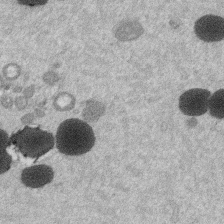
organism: Mouse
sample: Dividing mouse embryo 1 cell stage